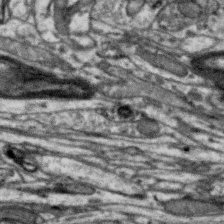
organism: Zebra finch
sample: Brain